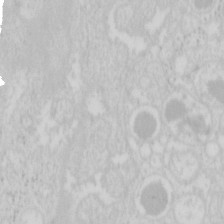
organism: Mouse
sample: Pancreas